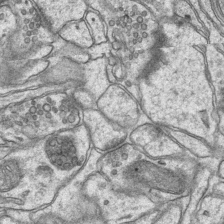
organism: Mouse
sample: CA1 Hippocampus